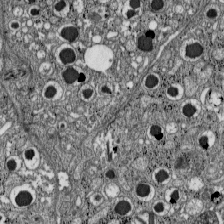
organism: C57BL Mouse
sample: Pancreatic islet